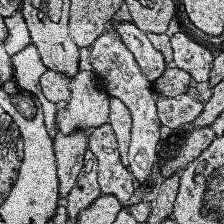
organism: Human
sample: Temporal Lobe